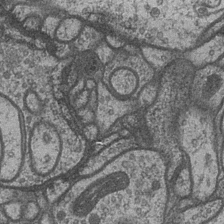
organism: Drosophila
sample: Optic medulla